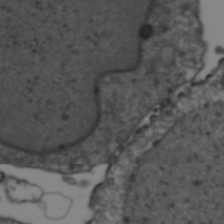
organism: Human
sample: HIV-1 Gag-iGFP